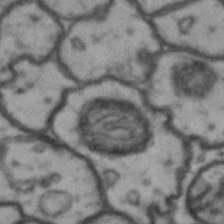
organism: Drosophila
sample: Brain